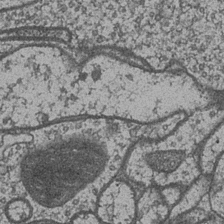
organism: Drosophila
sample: Optic medulla